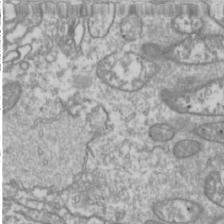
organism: Drosophila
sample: Cell division; meiosis; drosophila spermatocytes